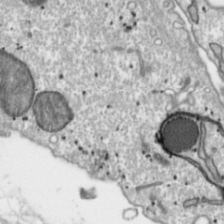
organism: Toxoplasma gondii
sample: Parasites in a vacuole inside a host cell